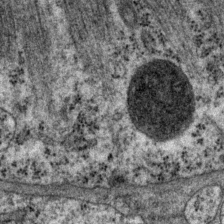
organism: P. pacificus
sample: Pharynx